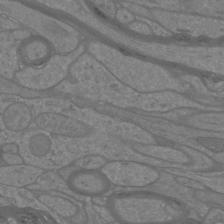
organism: Mouse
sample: Cortical neurons